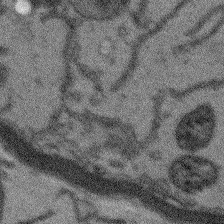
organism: Arabidopsis thaliana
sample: Root tip